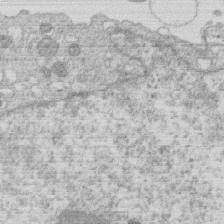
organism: Human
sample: Macrophage cells